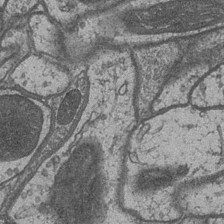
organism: Drosophila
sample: Optic medulla